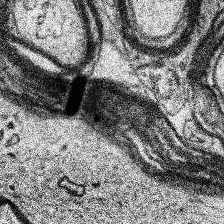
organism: Human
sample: Temporal Lobe